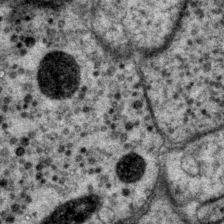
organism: P. pacificus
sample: Pharynx